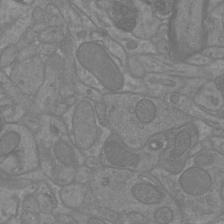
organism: Mouse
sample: Cortical neurons